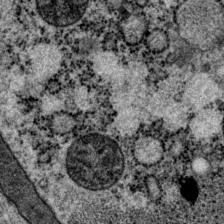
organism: P. pacificus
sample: Pharynx